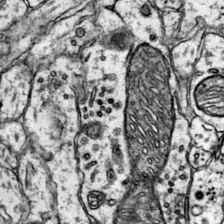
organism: Mouse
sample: Primary visual cortex